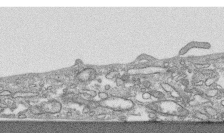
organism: Human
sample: CRL-1474